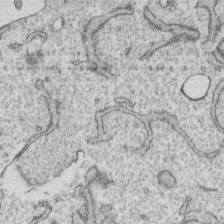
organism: Human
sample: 1205lu cells